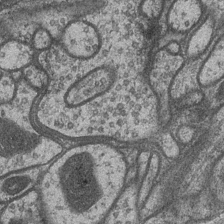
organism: Drosophila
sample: Optic medulla